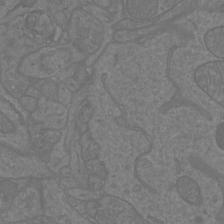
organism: Mouse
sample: Cortical neurons